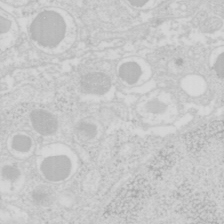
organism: Mouse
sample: Pancreas